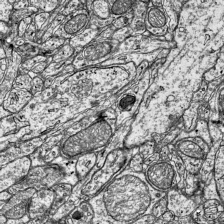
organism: Mouse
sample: Visual Cortex